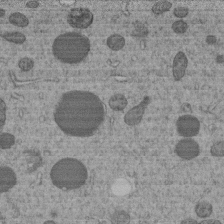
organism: C. elegans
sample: C. elegans embryo early stage